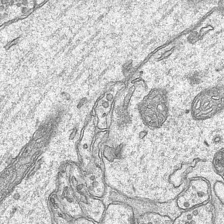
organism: Mouse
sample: CA1 Hippocampus